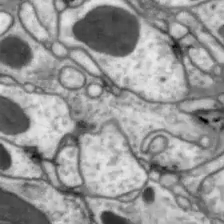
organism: Drosophila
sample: Optic lobe